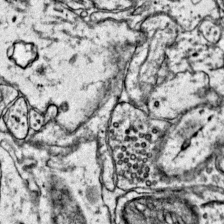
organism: Mouse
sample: Primary visual cortex